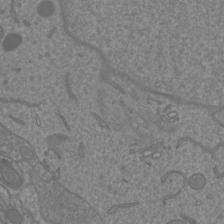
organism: Mouse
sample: Cortical neurons